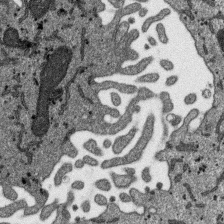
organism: Human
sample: Lung epithelial cells infected with SARS-CoV-2